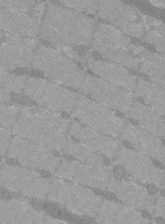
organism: C57BL Mouse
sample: Tibialis anterior muscle cell